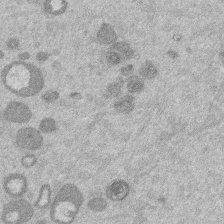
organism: Mouse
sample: Dividing mouse embryo 1 cell stage